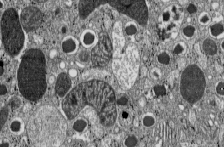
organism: C57BL Mouse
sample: Pancreatic islet